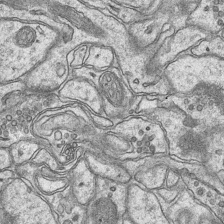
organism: Mouse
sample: CA1 Hippocampus